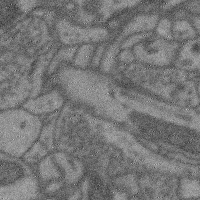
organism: Mouse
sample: Cerebral cortex